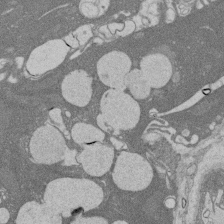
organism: Rat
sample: Salivary granule